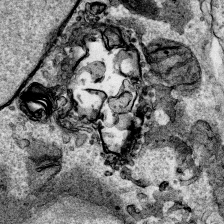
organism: Human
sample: Mitochondria in HCT116 cells